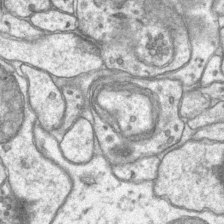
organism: Mouse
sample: CA1 Hippocampus